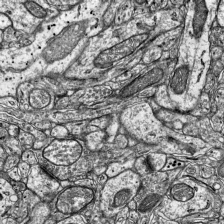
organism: Mouse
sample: Visual Cortex